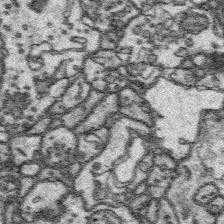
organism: Platynereis dumerilii